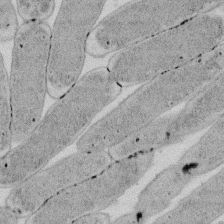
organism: E. coli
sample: Bacterial nucleoid